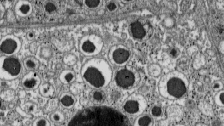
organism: C57BL Mouse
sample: Pancreatic islet